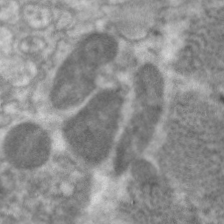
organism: C. elegans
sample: Pharynx